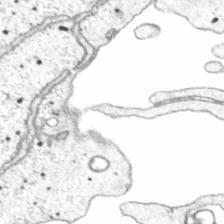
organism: Human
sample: HeLa cells